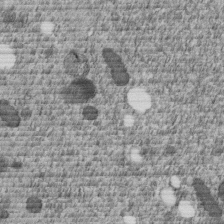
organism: C. elegans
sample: C. elegans embryo early stage